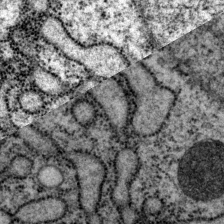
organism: P. pacificus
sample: Pharynx